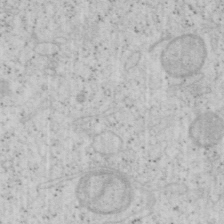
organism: Human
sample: HeLa cells